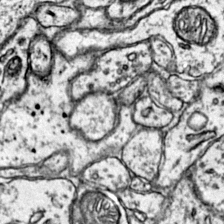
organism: Mouse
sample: Primary visual cortex